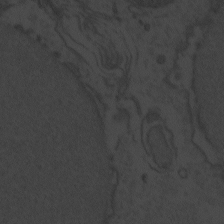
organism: Zebrafish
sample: Macrophage infected with Toxoplasma gondii